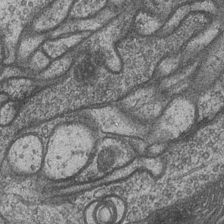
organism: Drosophila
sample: Optic medulla